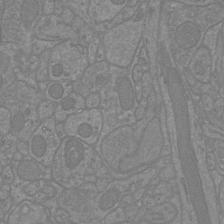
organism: Mouse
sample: Cortical neurons